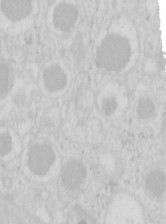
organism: Mouse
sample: Pancreas